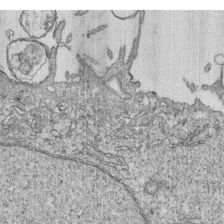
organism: Human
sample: HeLa cell HIV synapse